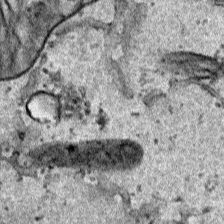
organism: Human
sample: Mitochondria in HCT116 cells